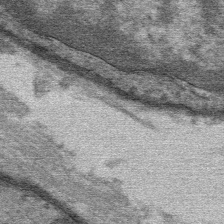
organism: Mouse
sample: Mouse Salivary gland